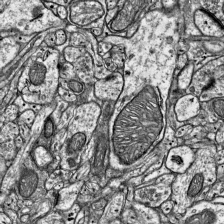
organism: Mouse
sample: Visual Cortex